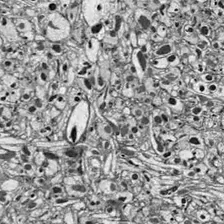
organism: Drosophila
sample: Optic lobe